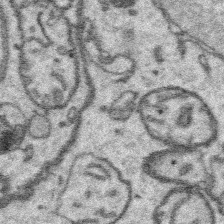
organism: Platynereis dumerilii